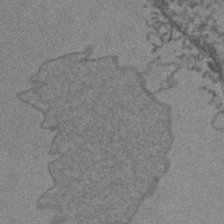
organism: Zebrafish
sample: Zebrafish embryo